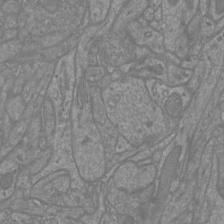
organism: Mouse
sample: Cortical neurons